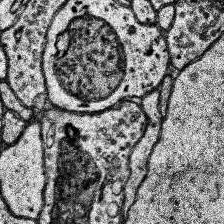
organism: Human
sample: Temporal Lobe